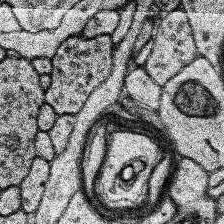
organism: Human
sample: Temporal Lobe